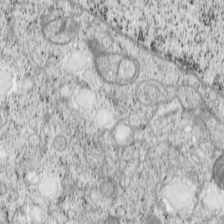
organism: African green monkey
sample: COS-7 cells